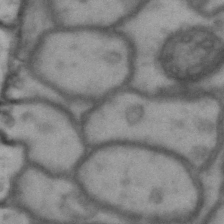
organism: Drosophila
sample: Brain